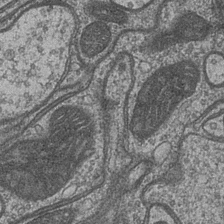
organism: Drosophila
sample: Optic medulla